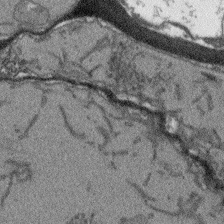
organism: Arabidopsis thaliana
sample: Root tip